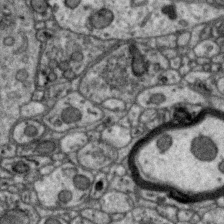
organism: Zebra finch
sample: Brain